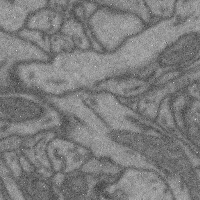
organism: Mouse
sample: Cerebral cortex